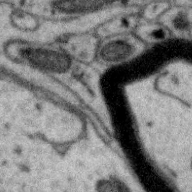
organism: Zebra finch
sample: Brain